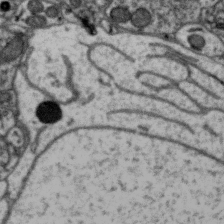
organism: Zebra finch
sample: Brain